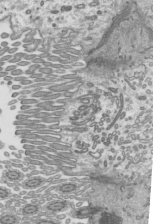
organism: Mouse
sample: Mouse epididymis efferent ductule cilia